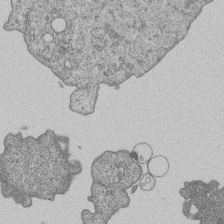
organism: Human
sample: MDA-MB-231 cells